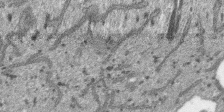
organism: Human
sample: Lung epithelial cells infected with SARS-CoV-2